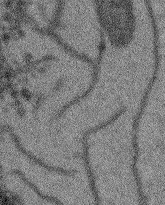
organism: Arabidopsis thaliana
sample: Root tip